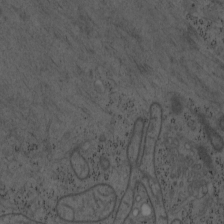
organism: Mouse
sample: OT-I killer T cells with ID8 ovarian cancer cells